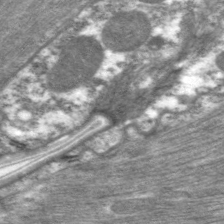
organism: C. elegans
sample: Pharynx